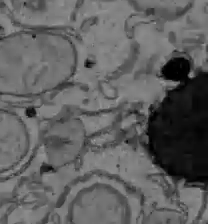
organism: C57BL Mouse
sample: Liver